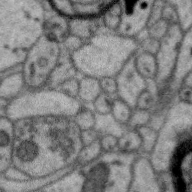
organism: Zebra finch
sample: Brain